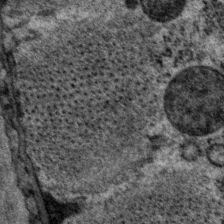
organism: P. pacificus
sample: Pharynx